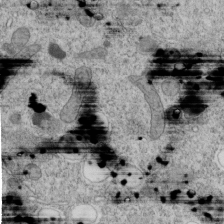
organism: C. elegans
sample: C. elegans embryo early stage